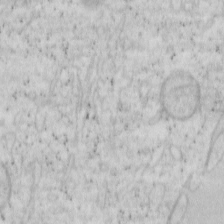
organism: Human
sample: HeLa cells